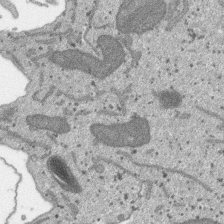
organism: Human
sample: Lung epithelial cells infected with SARS-CoV-2